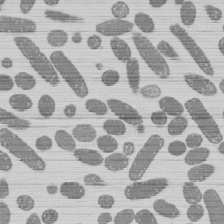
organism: E. coli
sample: Bacterial nucleoid